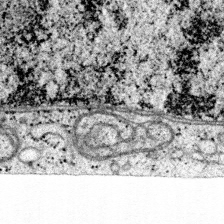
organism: Human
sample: HeLa cells